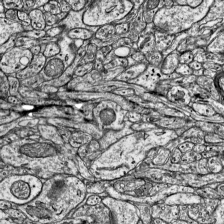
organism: Mouse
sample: Visual Cortex